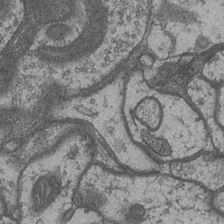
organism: Drosophila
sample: Optic medulla